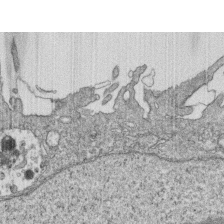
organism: Human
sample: HeLa cell HIV synapse